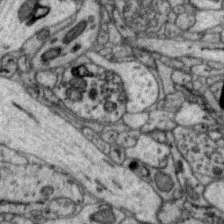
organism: Zebra finch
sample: Brain